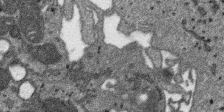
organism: Human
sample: Lung epithelial cells infected with SARS-CoV-2